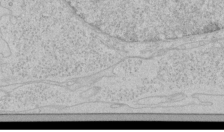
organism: Human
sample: Mitochondria in HCT116 cells